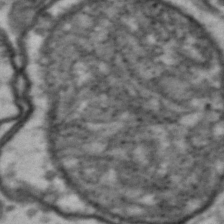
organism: Drosophila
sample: Brain